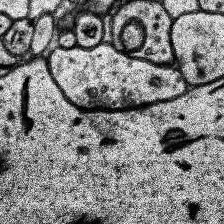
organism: Human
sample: Temporal Lobe